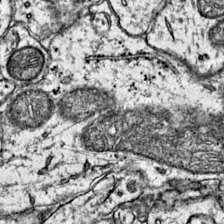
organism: Mouse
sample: Primary visual cortex